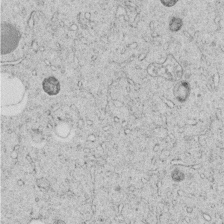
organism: C. elegans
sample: C. elegans embryo early stage